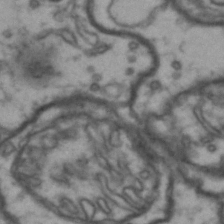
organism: Drosophila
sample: Brain